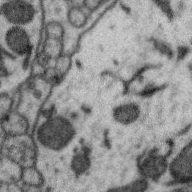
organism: Zebra finch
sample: Brain